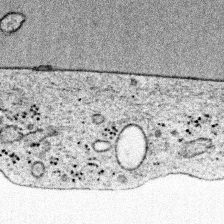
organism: Human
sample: HeLa cells